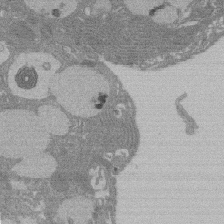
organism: Rat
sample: Salivary granule